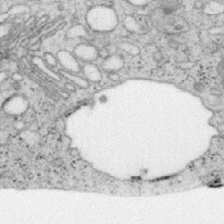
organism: Mouse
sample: OT-I killer T cells with ID8 ovarian cancer cells